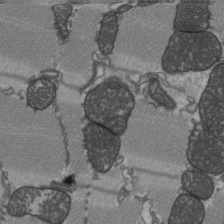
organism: C57BL Mouse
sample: Heart